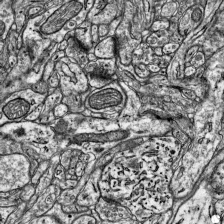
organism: Mouse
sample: Visual Cortex